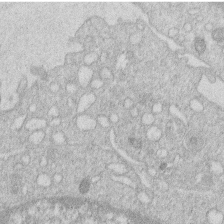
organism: Human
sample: Macrophage cells